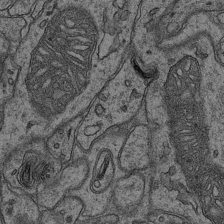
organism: Mouse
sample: CA1 Hippocampus